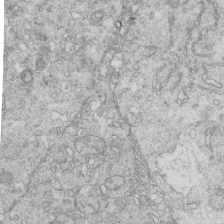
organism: Mouse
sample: Multiciliated cells